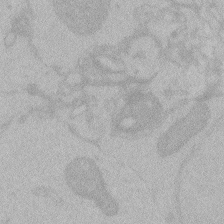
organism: Zebrafish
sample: Macrophage infected with Toxoplasma gondii